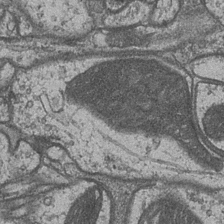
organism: Drosophila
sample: Optic medulla